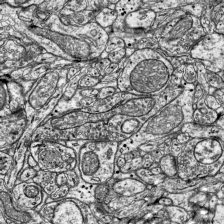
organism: Mouse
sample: Visual Cortex